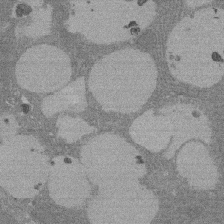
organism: Rat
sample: Salivary granule